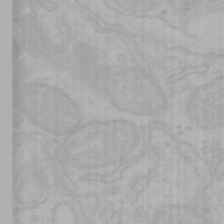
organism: Mouse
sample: Choroid plexus